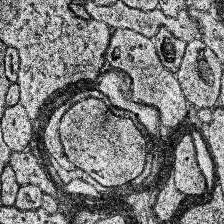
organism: Human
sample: Temporal Lobe